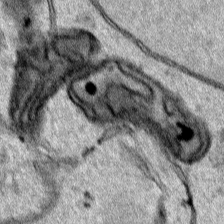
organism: Human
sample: Mitochondria in HCT116 cells